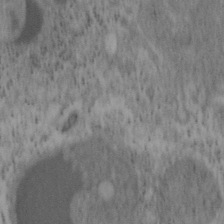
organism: Mouse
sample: OT-I killer T cells with ID8 ovarian cancer cells